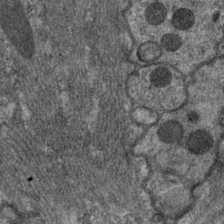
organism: C. elegans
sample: Pharynx